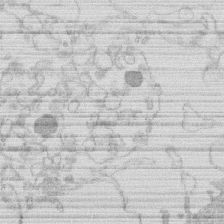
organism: Human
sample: Macrophage cells